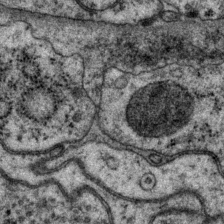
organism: P. pacificus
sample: Pharynx